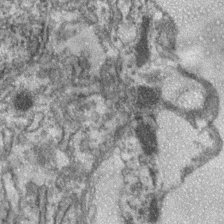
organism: Zebrafish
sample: Zebrafish embryo